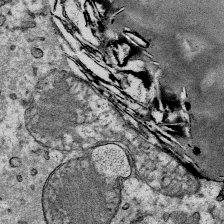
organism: Mouse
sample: Mouse Salivary gland